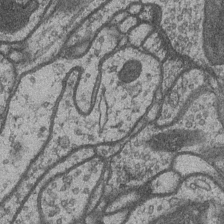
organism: Drosophila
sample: Optic medulla